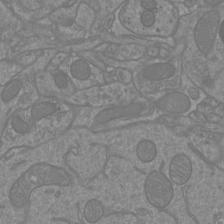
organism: Mouse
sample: Cortical neurons